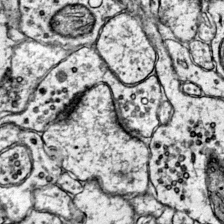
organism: Mouse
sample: Primary visual cortex